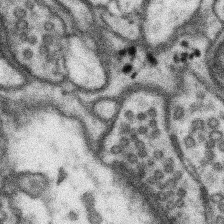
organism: Mouse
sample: Somatosensory cortex neuropil